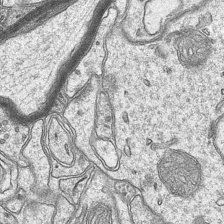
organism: Mouse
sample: CA1 Hippocampus